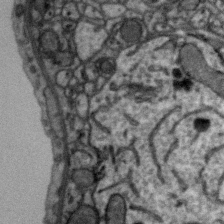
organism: Zebra finch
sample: Brain